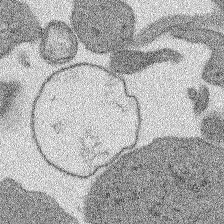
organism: Human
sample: HeLa cells